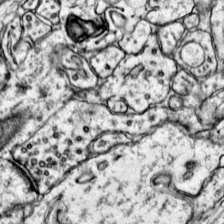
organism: Mouse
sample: Primary visual cortex